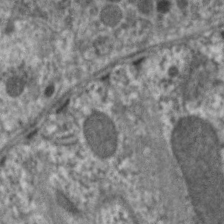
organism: C. elegans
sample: Pharynx